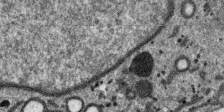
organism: Human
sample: Lung epithelial cells infected with SARS-CoV-2